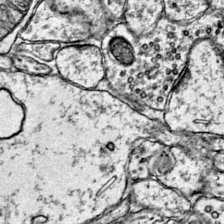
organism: Mouse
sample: Primary visual cortex